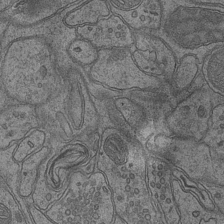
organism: Mouse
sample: CA1 Hippocampus